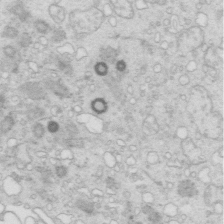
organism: Mouse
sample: Multiciliated cells